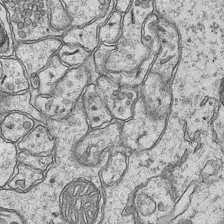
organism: Mouse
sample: CA1 Hippocampus